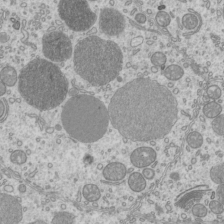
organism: Mouse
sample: Cilia; mouse epididymis